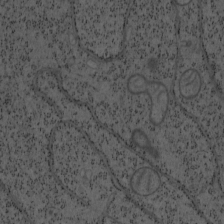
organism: Mouse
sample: OT-I killer T cells with ID8 ovarian cancer cells